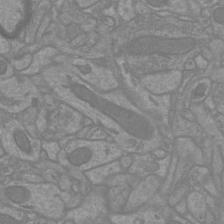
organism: Mouse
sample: Cortical neurons